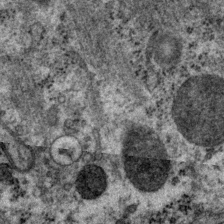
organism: P. pacificus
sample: Pharynx